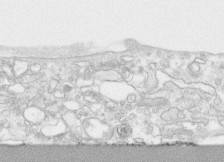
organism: Human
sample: CRL-1474